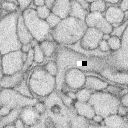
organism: Rabbit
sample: Retina